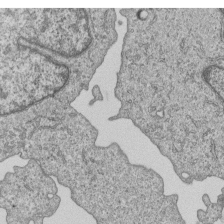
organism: Human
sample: MDA-MB-231 cells